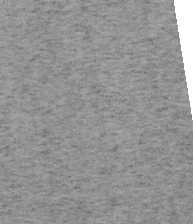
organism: Mouse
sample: OT-I killer T cells with ID8 ovarian cancer cells